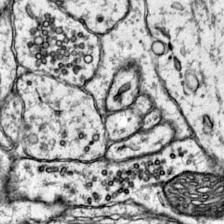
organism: Mouse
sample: Primary visual cortex